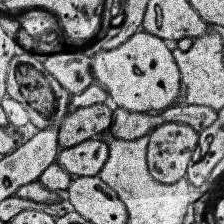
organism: Human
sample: Temporal Lobe